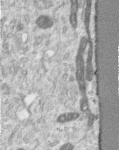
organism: Human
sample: Centriole in RPE cells